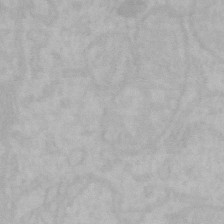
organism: Mouse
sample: Choroid plexus